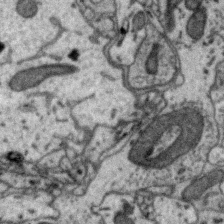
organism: Zebra finch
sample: Brain